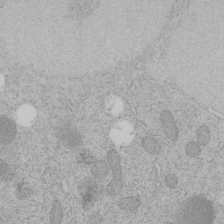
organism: C. elegans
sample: C. elegans embryo early stage